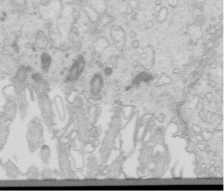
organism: Mouse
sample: Multiciliated cells